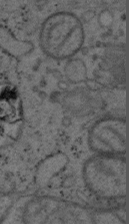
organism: Human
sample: HeLa cells